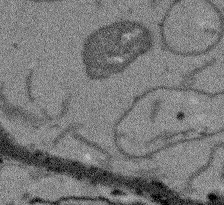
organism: Arabidopsis thaliana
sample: Root tip